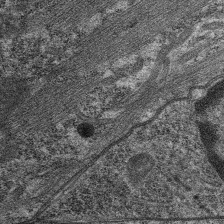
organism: C. elegans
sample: Pharynx